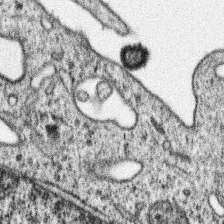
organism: Human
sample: HeLa cells